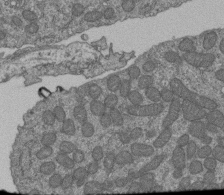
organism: Human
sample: Retinal organoid Rod and Cone cells